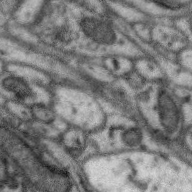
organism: Zebra finch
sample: Brain